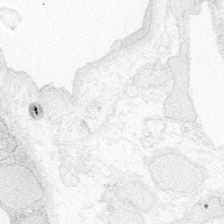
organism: Zebrafish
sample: Whole-Brain